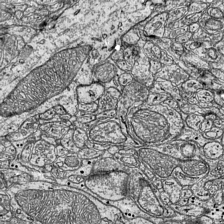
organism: Mouse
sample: Visual Cortex